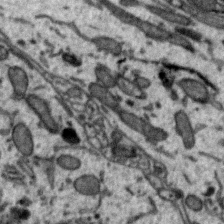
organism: Zebra finch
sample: Brain